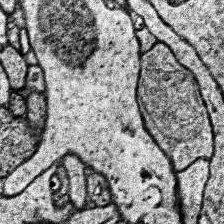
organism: Human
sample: Temporal Lobe